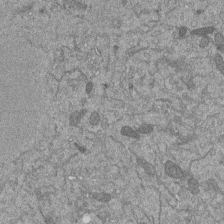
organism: Mouse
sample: ED-1 cell nuclei; centrioles